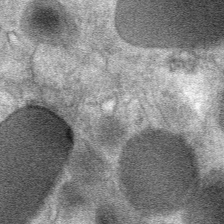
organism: Mouse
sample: Mouse Salivary gland